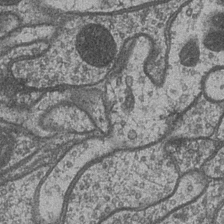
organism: Drosophila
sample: Optic medulla